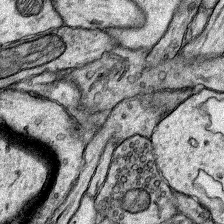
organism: Rat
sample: Hippocampus